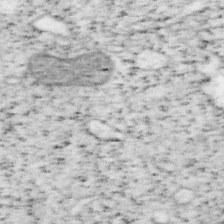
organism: Mouse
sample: OT-I killer T cells with ID8 ovarian cancer cells